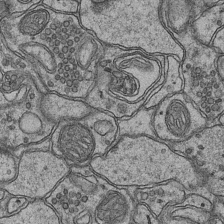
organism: Mouse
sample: CA1 Hippocampus